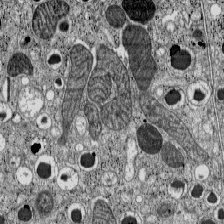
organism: C57BL Mouse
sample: Pancreatic islet